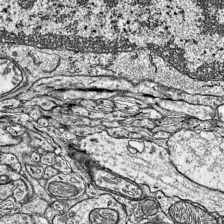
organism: Mouse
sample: Visual Cortex